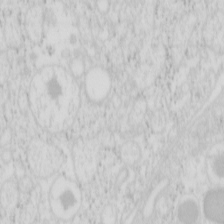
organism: Mouse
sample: Pancreas